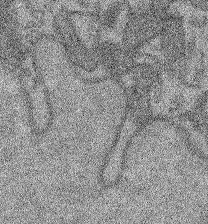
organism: Human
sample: HeLa cells